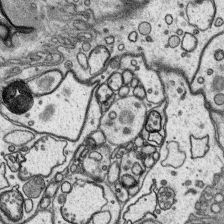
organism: Platynereis dumerilii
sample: Parapodia